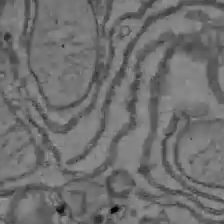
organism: C57BL Mouse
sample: Liver